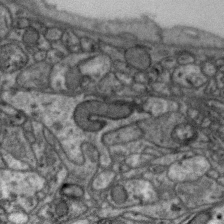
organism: Zebra finch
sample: Brain